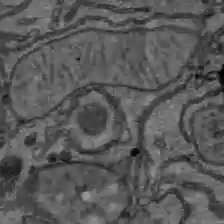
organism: C57BL Mouse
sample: Liver